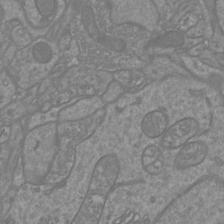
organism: Mouse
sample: Cortical neurons